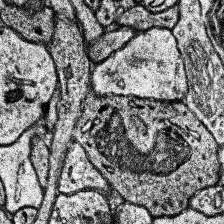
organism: Human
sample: Temporal Lobe